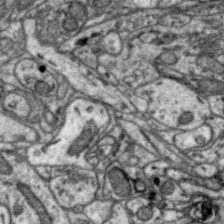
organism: Zebra finch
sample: Brain